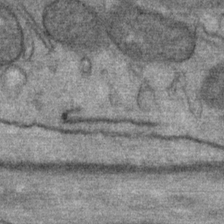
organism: Mouse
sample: Mouse Salivary gland